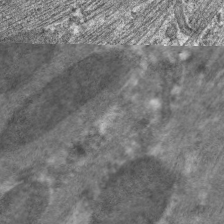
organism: C. elegans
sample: Pharynx